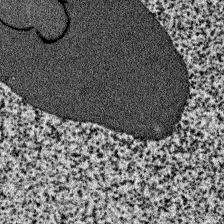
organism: Zebrafish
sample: Larval olfactory bulb